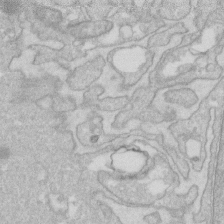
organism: Human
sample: Fibroblast cells